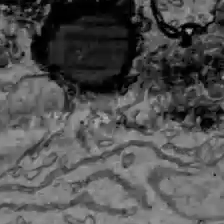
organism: C57BL Mouse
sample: Liver